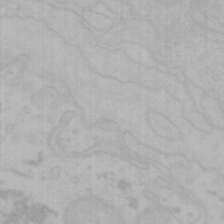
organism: Mouse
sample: Choroid plexus